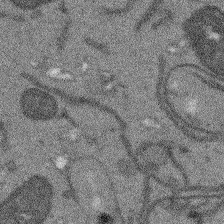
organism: Arabidopsis thaliana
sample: Root tip